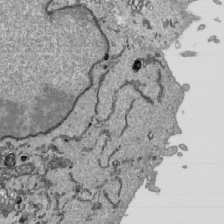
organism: Human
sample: Mitochondria in HCT116 cells